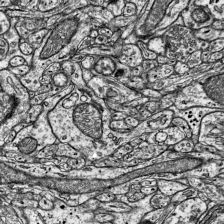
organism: Mouse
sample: Visual Cortex